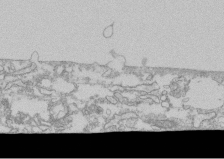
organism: Human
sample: CRL-1474